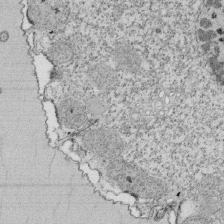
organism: Tetrahymena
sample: Cilia in tetrahymena